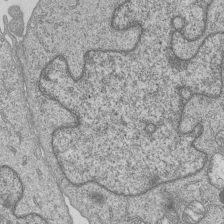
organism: Human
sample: MDA-MB-231 cells